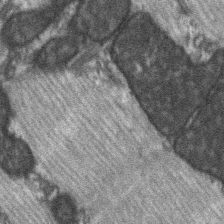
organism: C57BL Mouse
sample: Soleus